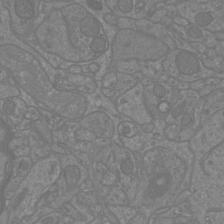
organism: Mouse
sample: Cortical neurons